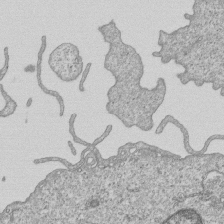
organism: Human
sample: MDA-MB-231 cells